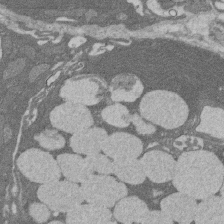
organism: Rat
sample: Salivary granule